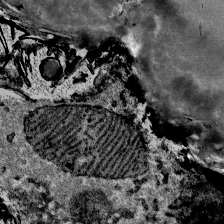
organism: Mouse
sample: Mouse Salivary gland